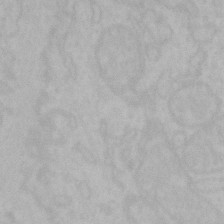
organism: Mouse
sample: Choroid plexus